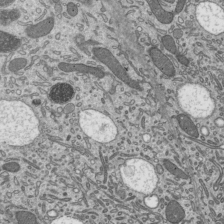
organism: Mouse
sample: Mouse epididymis efferent ductule cilia